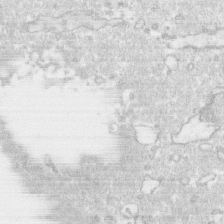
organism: Human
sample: CRL-1474